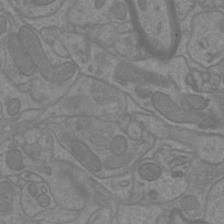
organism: Mouse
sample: Cortical neurons